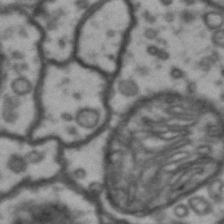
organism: Drosophila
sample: Brain